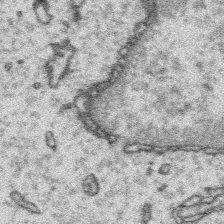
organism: Platynereis dumerilii